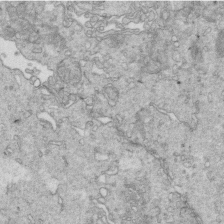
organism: Mouse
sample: Multiciliated cells